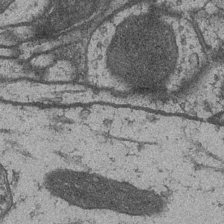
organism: Drosophila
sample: Optic medulla